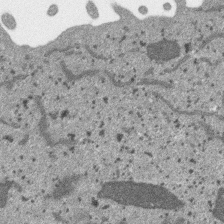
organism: Human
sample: Lung epithelial cells infected with SARS-CoV-2